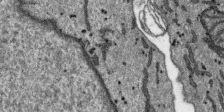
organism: Human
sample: Lung epithelial cells, uninfected (mock) control